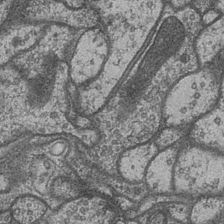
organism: Drosophila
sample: Optic medulla